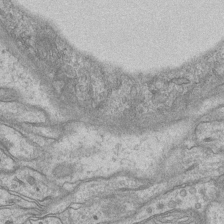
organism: Mouse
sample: CA1 Hippocampus